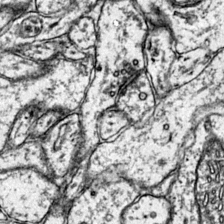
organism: Mouse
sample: Primary visual cortex